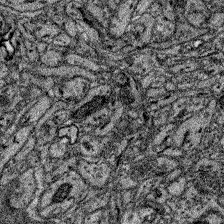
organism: Zebrafish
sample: Larval olfactory bulb